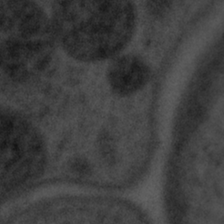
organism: Tuwongella immobilis